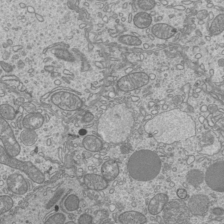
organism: Mouse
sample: Cilia; mouse epididymis